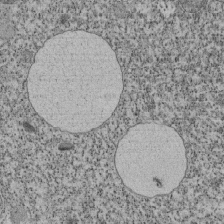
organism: Tetrahymena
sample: Cilia in tetrahymena